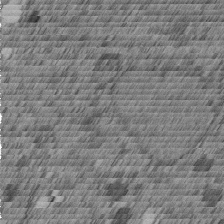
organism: C. elegans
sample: C. elegans embryo early stage